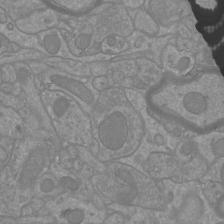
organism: Mouse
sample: Cortical neurons